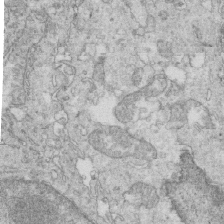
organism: Mouse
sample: Multiciliated cells